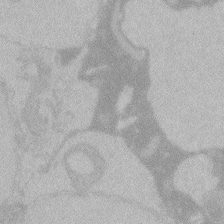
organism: Zebrafish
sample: Macrophage infected with Toxoplasma gondii